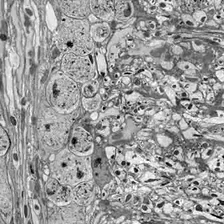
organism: Drosophila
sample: Optic lobe